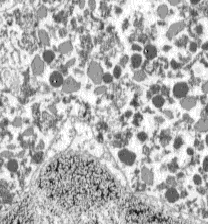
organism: C57BL Mouse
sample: Pancreatic islet